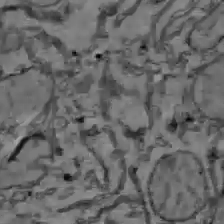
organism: C57BL Mouse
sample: Liver